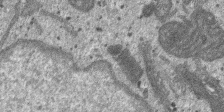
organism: Human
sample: Lung epithelial cells infected with SARS-CoV-2